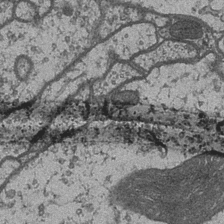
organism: Drosophila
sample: Optic medulla